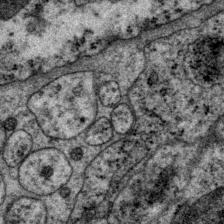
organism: P. pacificus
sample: Pharynx